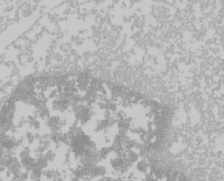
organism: Mouse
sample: Cancer cell death in ED-1 cells